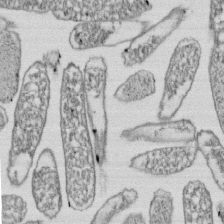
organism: E. coli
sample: Bacterial nucleoid